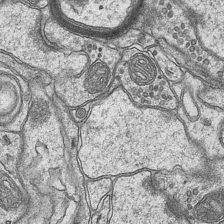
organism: Mouse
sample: CA1 Hippocampus